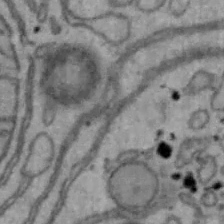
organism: Mouse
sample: Liver